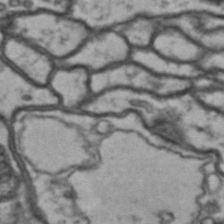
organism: Drosophila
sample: Brain